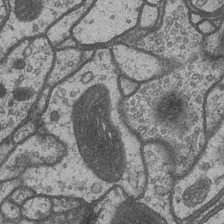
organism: Drosophila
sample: Optic medulla